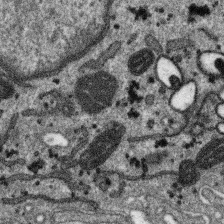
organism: Human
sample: Lung epithelial cells infected with SARS-CoV-2